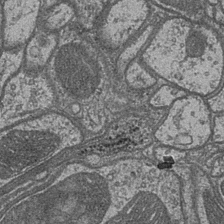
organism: Drosophila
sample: Optic medulla